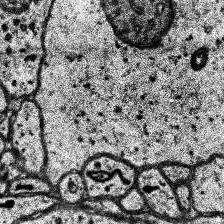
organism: Human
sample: Temporal Lobe